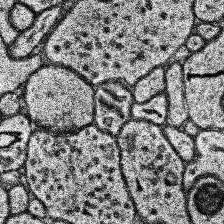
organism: Human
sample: Temporal Lobe